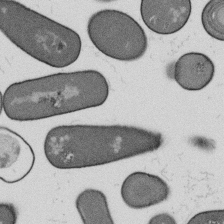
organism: B. subtilis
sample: Bacterial spore